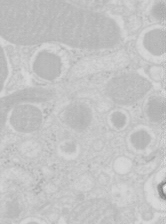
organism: Mouse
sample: Pancreas